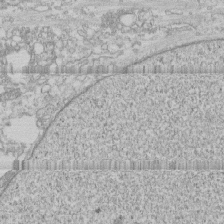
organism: Human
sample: CRL-1474